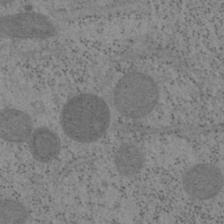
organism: Mouse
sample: OT-I killer T cells with ID8 ovarian cancer cells